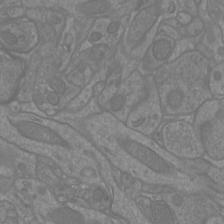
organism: Mouse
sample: Cortical neurons